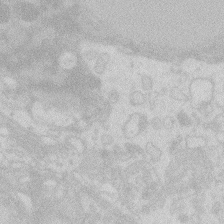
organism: Zebrafish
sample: Macrophage